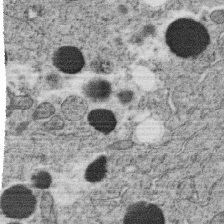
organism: C. elegans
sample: C. elegans oocyte; sperm cells